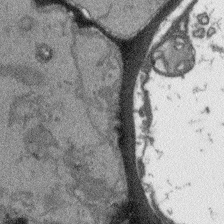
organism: Arabidopsis thaliana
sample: Root tip